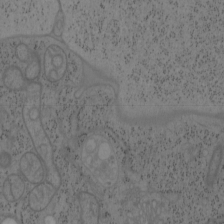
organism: Mouse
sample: OT-I killer T cells with ID8 ovarian cancer cells